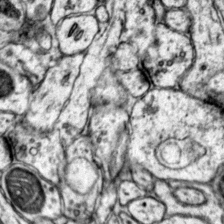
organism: Mouse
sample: Primary visual cortex